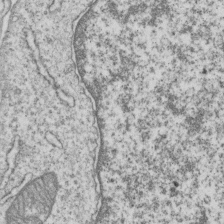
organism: Human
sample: MDA-MB-231 cells